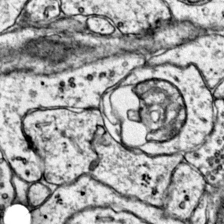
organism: Mouse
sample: Primary visual cortex